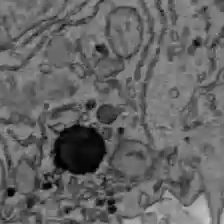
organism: C57BL Mouse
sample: Liver